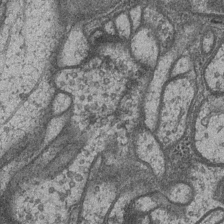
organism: Drosophila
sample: Optic medulla